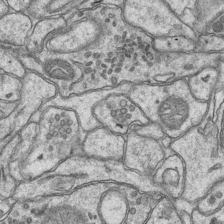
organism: Mouse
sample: CA1 Hippocampus